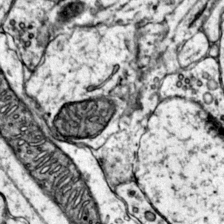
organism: Mouse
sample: Primary visual cortex